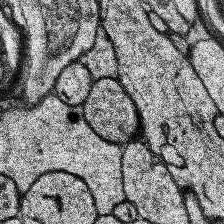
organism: Human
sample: Temporal Lobe